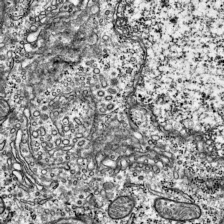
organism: Mouse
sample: Visual Cortex